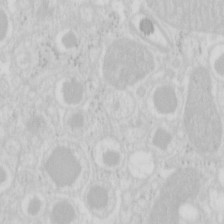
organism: Mouse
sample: Pancreas